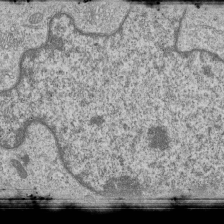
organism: Human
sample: MDA-MB-231 cells